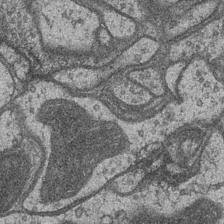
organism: Drosophila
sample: Optic medulla